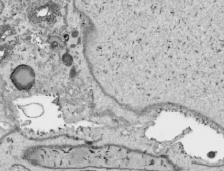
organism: Human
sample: Mitochondria in HCT116 cells